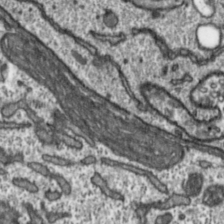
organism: Toxoplasma gondii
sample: Parasites in a vacuole inside a host cell